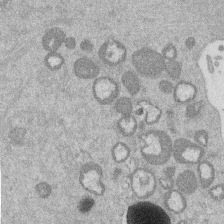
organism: Mouse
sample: Dividing mouse embryo 1 cell stage